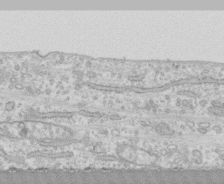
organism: Human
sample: CRL-1474